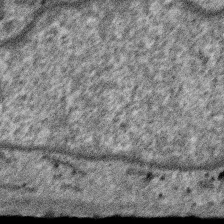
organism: Human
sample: Lung epithelial cells infected with SARS-CoV-2